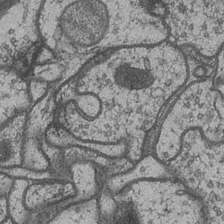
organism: Drosophila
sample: Optic medulla